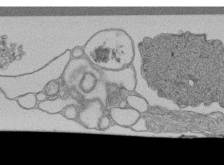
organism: Human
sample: Retinal organoid Rod and Cone cells